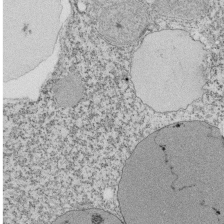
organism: Tetrahymena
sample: Cilia in tetrahymena